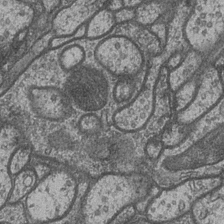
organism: Drosophila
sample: Optic medulla